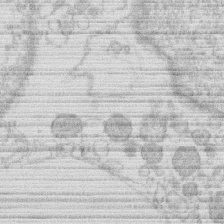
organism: Human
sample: Macrophage cells